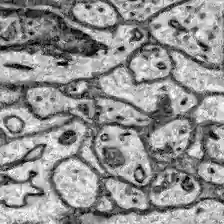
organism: Zebrafish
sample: Brain